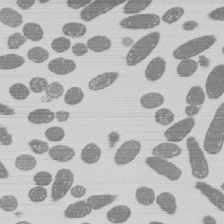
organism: E. coli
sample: Bacterial nucleoid